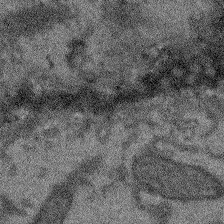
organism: Arabidopsis thaliana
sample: Root tip